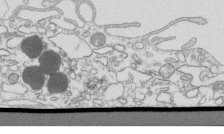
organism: Mouse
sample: Macrophages